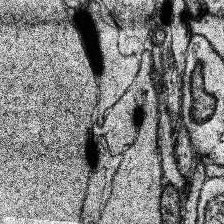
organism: Human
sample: Temporal Lobe